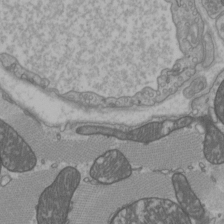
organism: C57BL Mouse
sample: Heart